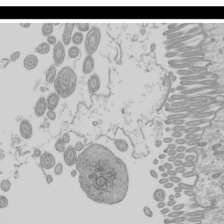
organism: Mouse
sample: Cilia; mouse epididymis